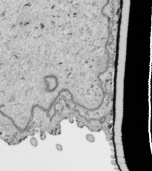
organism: Human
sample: Mitochondria in HCT116 cells